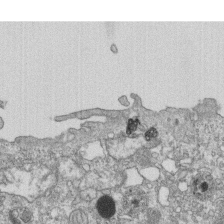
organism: Human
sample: HeLa cell HIV synapse